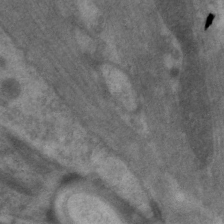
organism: C. elegans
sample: Pharynx